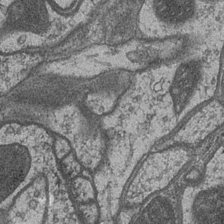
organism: Drosophila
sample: Optic medulla